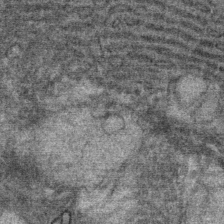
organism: Mouse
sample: Mouse Salivary gland